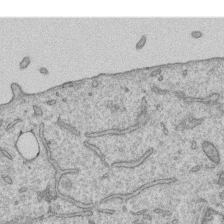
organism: Human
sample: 1205lu cells